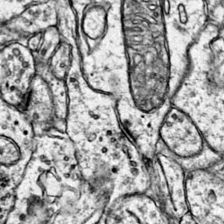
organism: Mouse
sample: Primary visual cortex